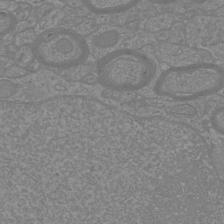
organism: Mouse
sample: Cortical neurons